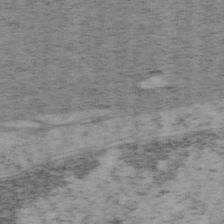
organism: Mouse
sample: OT-I killer T cells with ID8 ovarian cancer cells